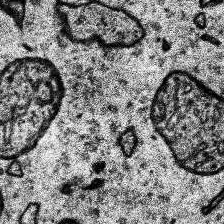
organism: Human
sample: Temporal Lobe